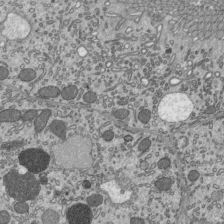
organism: Mouse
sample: Mouse epididymis efferent ductule cilia